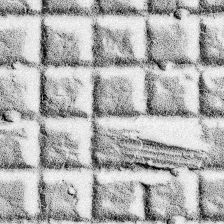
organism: Rat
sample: Hippocampus